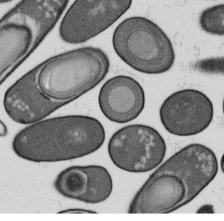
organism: B. subtilis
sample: Bacterial spore